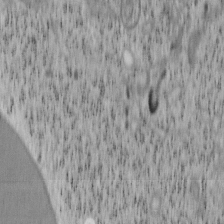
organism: Human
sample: HeLa cells